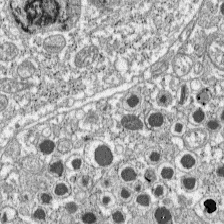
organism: C57BL Mouse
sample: Pancreatic islet